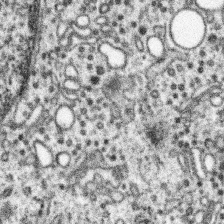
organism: Human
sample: HeLa cells